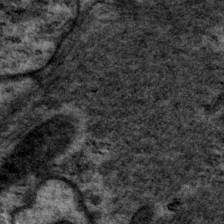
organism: P. pacificus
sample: Pharynx